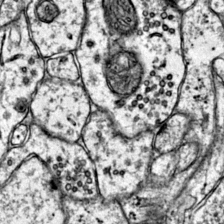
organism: Mouse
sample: Primary visual cortex